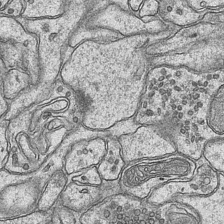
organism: Mouse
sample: CA1 Hippocampus